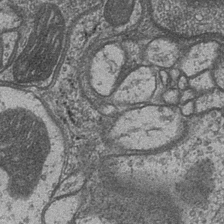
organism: Drosophila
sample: Optic medulla